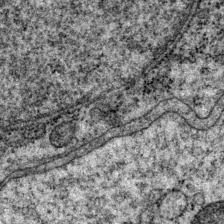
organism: P. pacificus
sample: Pharynx